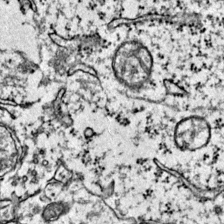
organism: Mouse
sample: Primary visual cortex